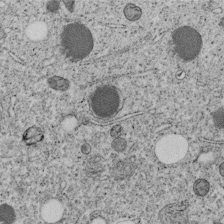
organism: C. elegans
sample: C. elegans embryo early stage